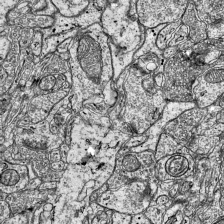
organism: Mouse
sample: Visual Cortex